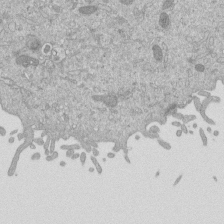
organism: Mouse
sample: ED-1 cell nuclei; centrioles